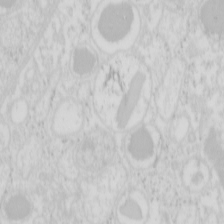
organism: Mouse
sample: Pancreas